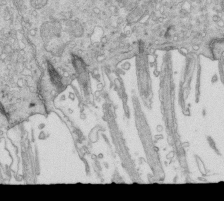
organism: Mouse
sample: Multiciliated cells